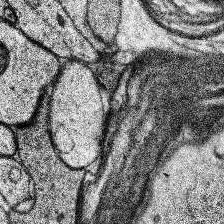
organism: Human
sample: Temporal Lobe